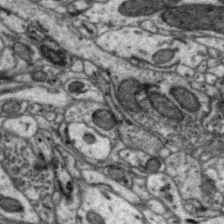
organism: Zebra finch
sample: Brain